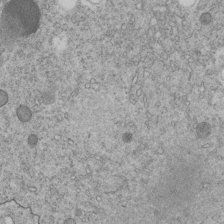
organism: C. elegans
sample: C. elegans embryo early stage